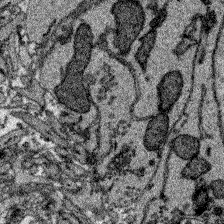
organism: Zebrafish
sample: Larval olfactory bulb